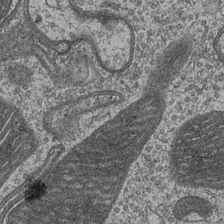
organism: Drosophila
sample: Optic medulla